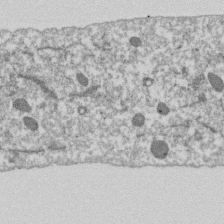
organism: Dictyostelium discoideum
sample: Dictyostelium multivesicular bodies